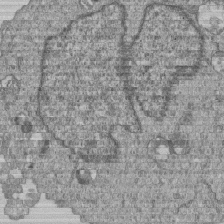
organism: Human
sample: MDA-MB-231 cells